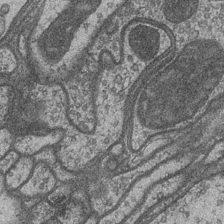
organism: Drosophila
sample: Optic medulla